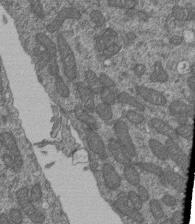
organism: Human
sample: Retinal organoid Rod and Cone cells